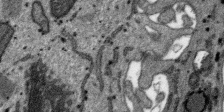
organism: Human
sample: Lung epithelial cells, uninfected (mock) control